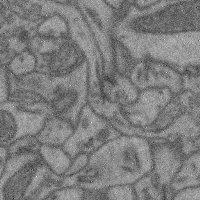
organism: Mouse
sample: Cerebral cortex